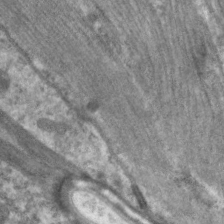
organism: C. elegans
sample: Pharynx